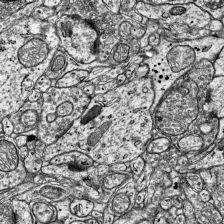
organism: Mouse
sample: Visual Cortex